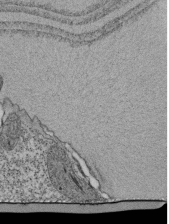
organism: Tetrahymena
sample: Cilia in tetrahymena